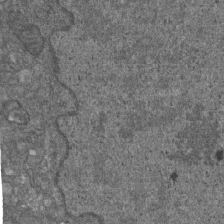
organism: Drosophila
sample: Nephrocyte